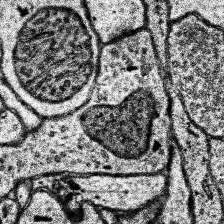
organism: Human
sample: Temporal Lobe